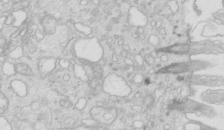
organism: Mouse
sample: Multiciliated cells